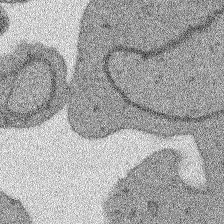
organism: Human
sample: HeLa cells